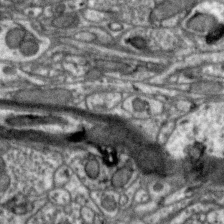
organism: Zebra finch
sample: Brain